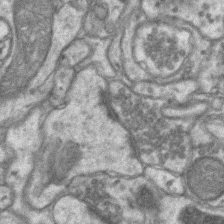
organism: Mouse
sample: CA1 Hippocampus